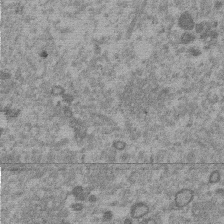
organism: Mouse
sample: Dividing mouse embryo 1 cell stage